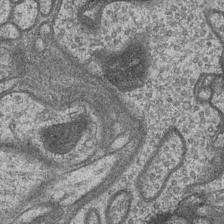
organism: Drosophila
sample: Optic medulla